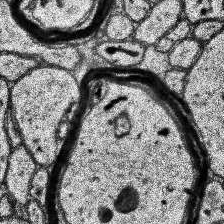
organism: Human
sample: Temporal Lobe